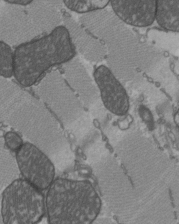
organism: C57BL Mouse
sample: Heart